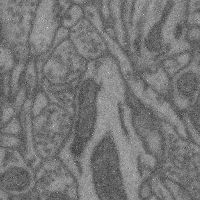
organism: Mouse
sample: Cerebral cortex